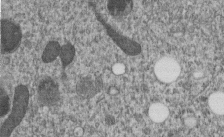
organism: C. elegans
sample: C. elegans embryo early stage